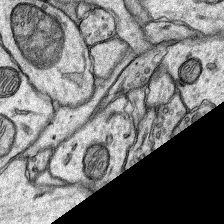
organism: Rat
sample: Hippocampus